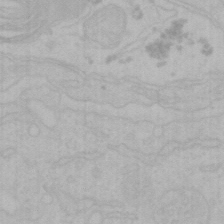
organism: Mouse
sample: Choroid plexus